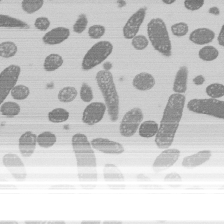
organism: E. coli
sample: Bacterial nucleoid